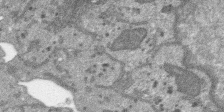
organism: Human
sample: Lung epithelial cells infected with SARS-CoV-2